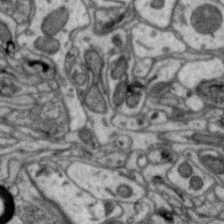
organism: Zebra finch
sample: Brain